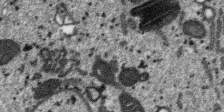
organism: Human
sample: Lung epithelial cells infected with SARS-CoV-2